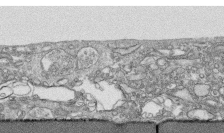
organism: Human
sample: CRL-1474